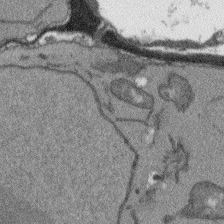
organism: Arabidopsis thaliana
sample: Root tip